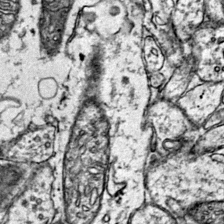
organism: Mouse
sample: Primary visual cortex